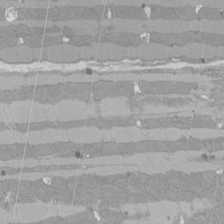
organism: Rat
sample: Left ventricle